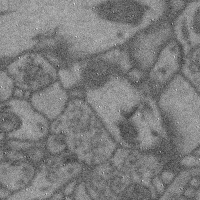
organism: Mouse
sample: Cerebral cortex